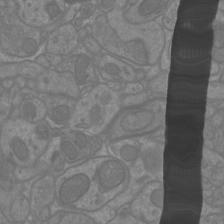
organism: Mouse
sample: Cortical neurons